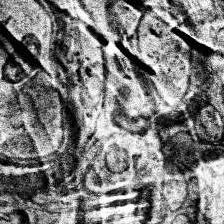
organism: Human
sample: Temporal Lobe